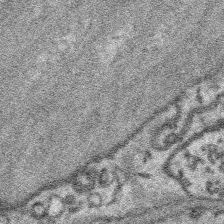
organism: Platynereis dumerilii